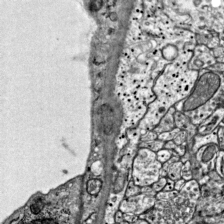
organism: Mouse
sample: Visual Cortex